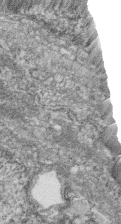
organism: Zebrafish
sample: Cilia; retinal pigment epithelium